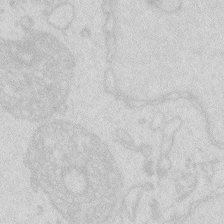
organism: Zebrafish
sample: Macrophage